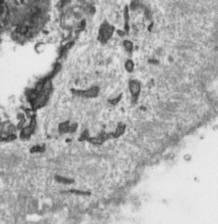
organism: Toxoplasma gondii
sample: Parasites in a vacuole inside a host cell